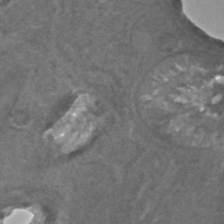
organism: C. elegans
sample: C. elegans embryo